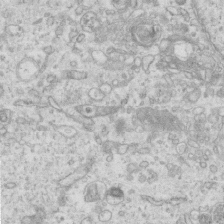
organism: Mouse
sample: Centriole in ependymal cells